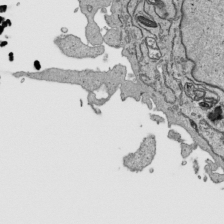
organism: Human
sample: Mitochondria in HCT116 cells